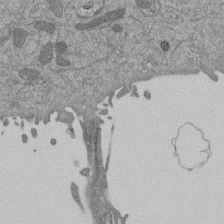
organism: Mouse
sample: ED-1 cell nuclei; centrioles